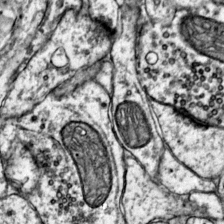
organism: Mouse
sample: Primary visual cortex